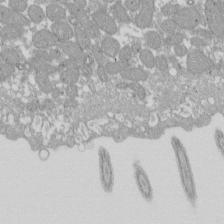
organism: Xenopus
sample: Cilia; centrioles in frog embryo cells